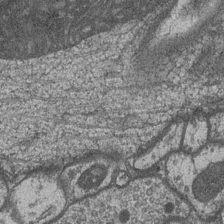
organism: Drosophila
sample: Optic medulla